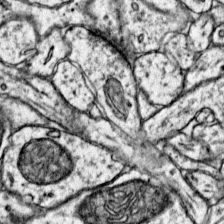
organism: Mouse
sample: Primary visual cortex